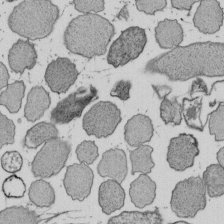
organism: E. coli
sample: Bacterial nucleoid